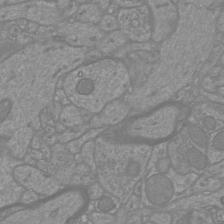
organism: Mouse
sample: Cortical neurons